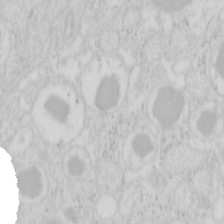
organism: Mouse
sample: Pancreas